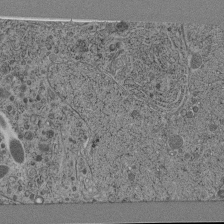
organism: C. elegans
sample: C. elegans pharynx